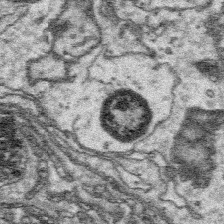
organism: Platynereis dumerilii